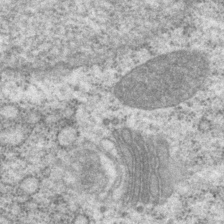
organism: P. pacificus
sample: Pharynx